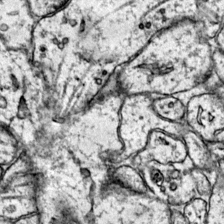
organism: Mouse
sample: Primary visual cortex